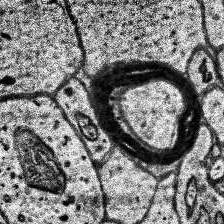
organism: Human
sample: Temporal Lobe